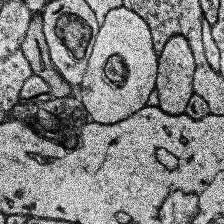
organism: Human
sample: Temporal Lobe